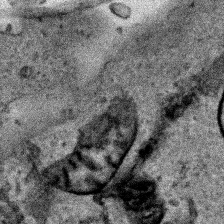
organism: Human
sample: Mitochondria in HCT116 cells